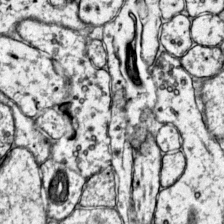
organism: Mouse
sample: Primary visual cortex